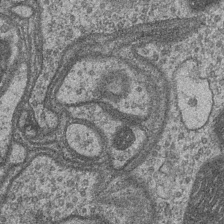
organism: Drosophila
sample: Optic medulla